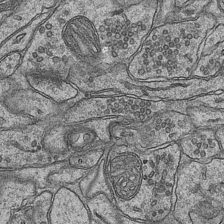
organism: Mouse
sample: CA1 Hippocampus